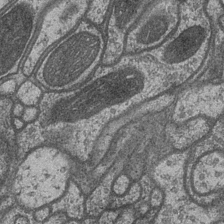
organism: Drosophila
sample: Optic medulla